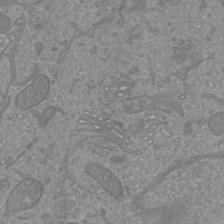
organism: Mouse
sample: Cortical neurons